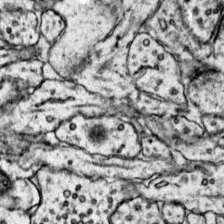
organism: Mouse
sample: Primary visual cortex